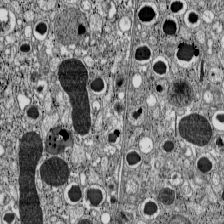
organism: C57BL Mouse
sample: Pancreatic islet